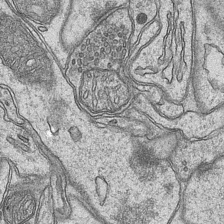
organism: Mouse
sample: CA1 Hippocampus